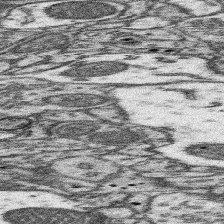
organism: Mouse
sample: Somatosensory cortex neuropil